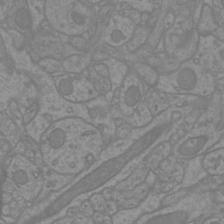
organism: Mouse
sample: Cortical neurons